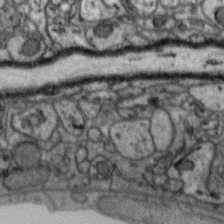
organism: Zebra finch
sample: Brain